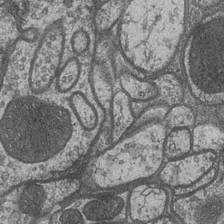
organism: Drosophila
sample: Optic medulla